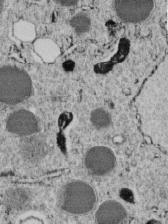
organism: C. elegans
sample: C. elegans embryo early stage